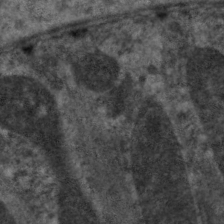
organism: C. elegans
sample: Pharynx